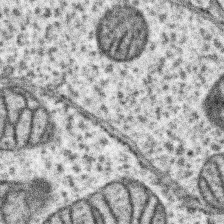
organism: Human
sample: HeLa cells